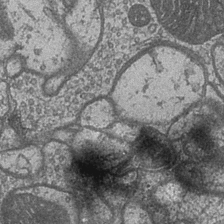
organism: Drosophila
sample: Optic medulla